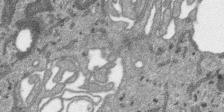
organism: Human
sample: Lung epithelial cells infected with SARS-CoV-2